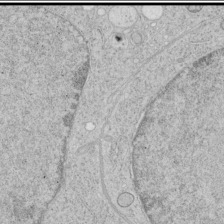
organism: Human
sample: Mitochondria in HCT116 cells